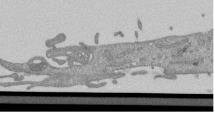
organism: Mouse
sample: ED-1 cell nuclei; centrioles